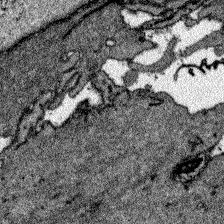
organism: Zebrafish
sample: Larval olfactory bulb